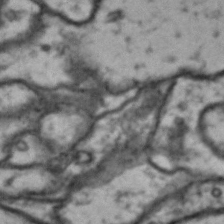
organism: Drosophila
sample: Brain